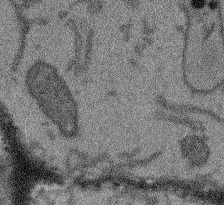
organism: Arabidopsis thaliana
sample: Root tip